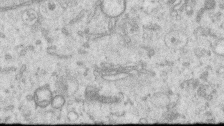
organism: Human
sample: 1205lu cells